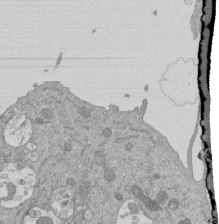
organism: Mouse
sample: ED-1 cell nuclei; centrioles